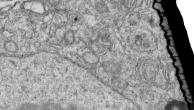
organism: Human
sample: HeLa cell HIV synapse